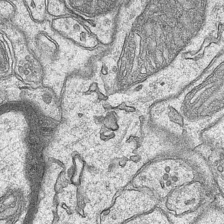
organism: Mouse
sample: CA1 Hippocampus